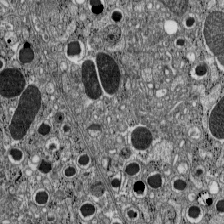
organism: C57BL Mouse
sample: Pancreatic islet